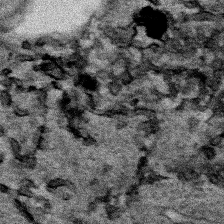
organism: Human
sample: Mitochondria in HCT116 cells